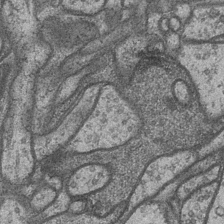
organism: Drosophila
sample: Optic medulla